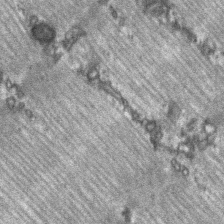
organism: C57BL Mouse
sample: Soleus